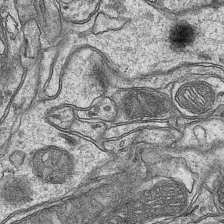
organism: Mouse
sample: CA1 Hippocampus